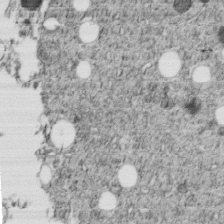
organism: C. elegans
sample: C. elegans embryo early stage